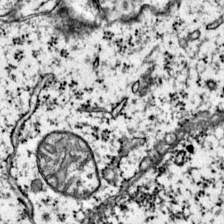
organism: Mouse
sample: Primary visual cortex